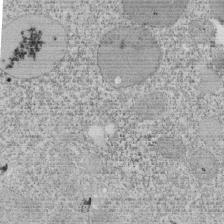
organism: Tetrahymena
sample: Cilia in tetrahymena